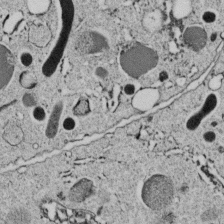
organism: C. elegans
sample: C. elegans embryo early stage